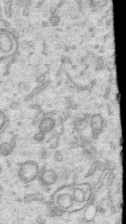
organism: Human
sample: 1205lu cells